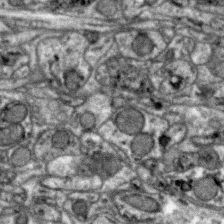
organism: Zebra finch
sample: Brain